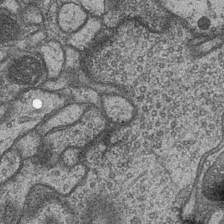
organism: Drosophila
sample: Optic medulla